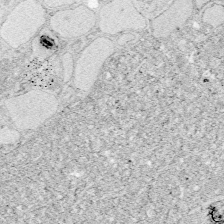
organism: Zebrafish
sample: Whole-Brain